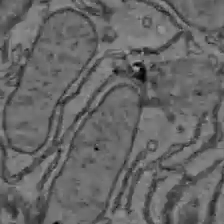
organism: C57BL Mouse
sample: Liver